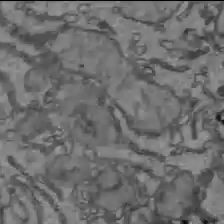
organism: C57BL Mouse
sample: Liver